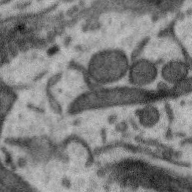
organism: Zebra finch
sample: Brain